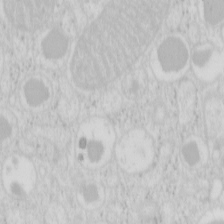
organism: Mouse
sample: Pancreas